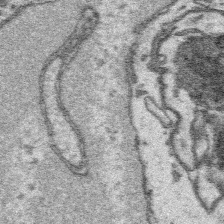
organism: Platynereis dumerilii